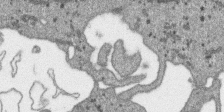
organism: Human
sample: Lung epithelial cells infected with SARS-CoV-2